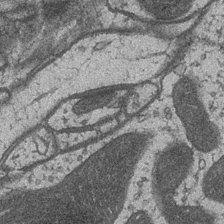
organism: Drosophila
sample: Optic medulla